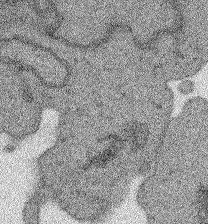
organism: Human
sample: HeLa cells